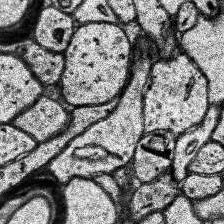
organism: Human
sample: Temporal Lobe